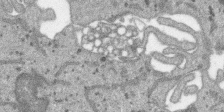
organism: Human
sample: Lung epithelial cells infected with SARS-CoV-2